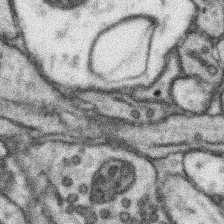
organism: Mouse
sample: Somatosensory cortex neuropil